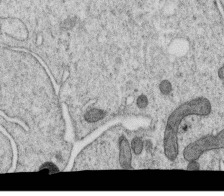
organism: C. elegans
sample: C. elegans oocyte; sperm cells